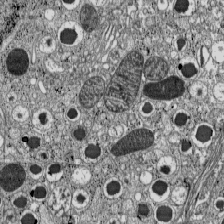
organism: C57BL Mouse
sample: Pancreatic islet